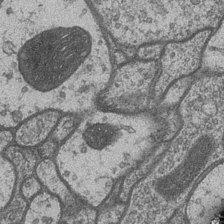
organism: Drosophila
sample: Optic medulla